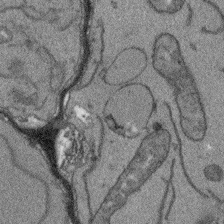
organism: Arabidopsis thaliana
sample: Root tip